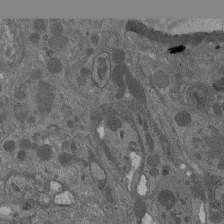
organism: Drosophila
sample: Antenna